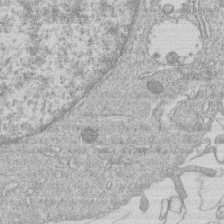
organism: Human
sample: Macrophage cells